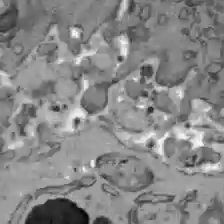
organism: C57BL Mouse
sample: Liver